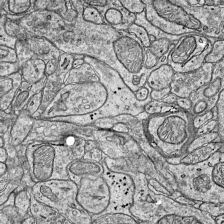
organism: Mouse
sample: Visual Cortex